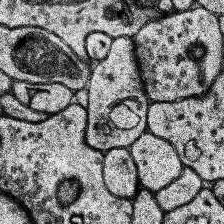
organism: Human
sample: Temporal Lobe